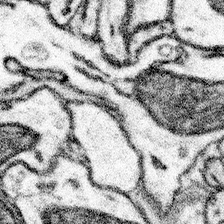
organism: Mouse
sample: Somatosensory cortex neuropil